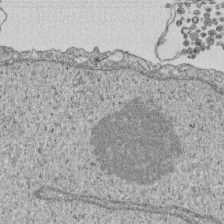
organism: Human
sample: HeLa cell HIV synapse